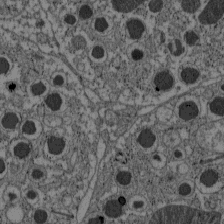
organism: C57BL Mouse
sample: Pancreatic islet